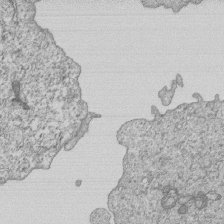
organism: Human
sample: MDA-MB-231 cells